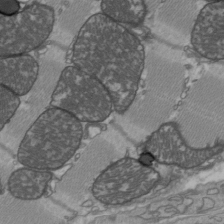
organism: C57BL Mouse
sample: Heart